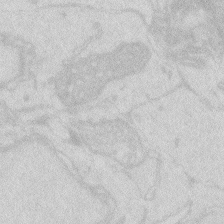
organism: Zebrafish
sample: Macrophage